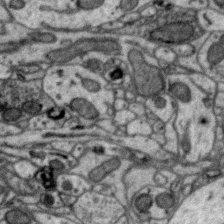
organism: Zebra finch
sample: Brain